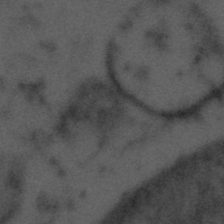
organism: Tuwongella immobilis